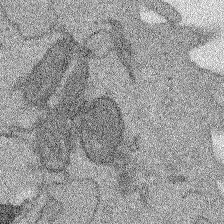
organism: Human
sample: HeLa cells